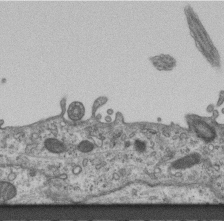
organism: Mouse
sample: Centriole in ependymal cells